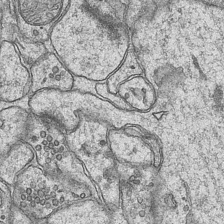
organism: Mouse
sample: CA1 Hippocampus